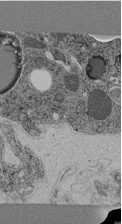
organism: C. elegans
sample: C. elegans pharynx